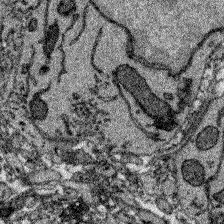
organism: Zebrafish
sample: Larval olfactory bulb